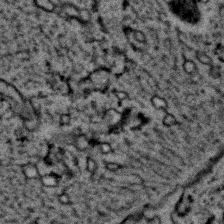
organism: C. elegans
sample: C. elegans embryo